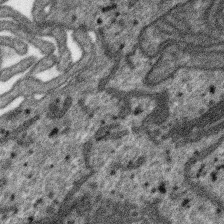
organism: Human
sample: Lung epithelial cells infected with SARS-CoV-2